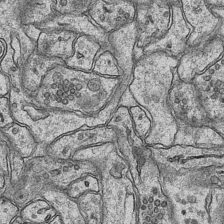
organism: Mouse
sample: CA1 Hippocampus